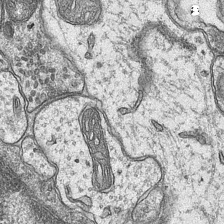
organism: Mouse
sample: CA1 Hippocampus